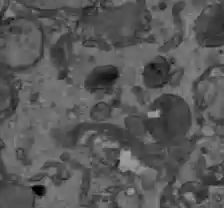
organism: C57BL Mouse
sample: Liver